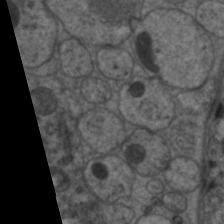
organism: C. elegans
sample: Pharynx